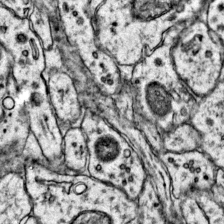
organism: Mouse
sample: Primary visual cortex